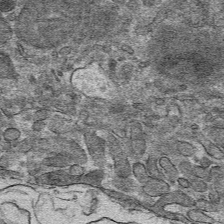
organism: Mouse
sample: Mouse hepatocytes